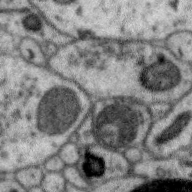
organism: Zebra finch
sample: Brain